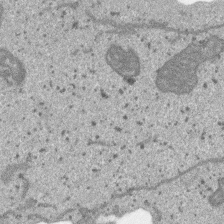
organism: Human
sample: Lung epithelial cells infected with SARS-CoV-2